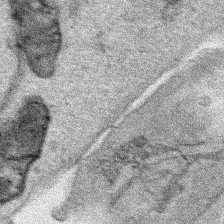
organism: Human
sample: Mitochondria in HCT116 cells